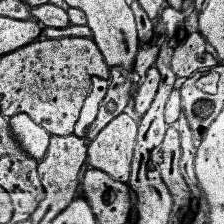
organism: Human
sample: Temporal Lobe